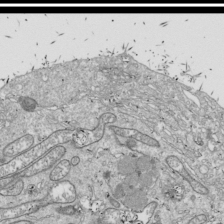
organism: Drosophila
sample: Cell division; meiosis; drosophila spermatocytes